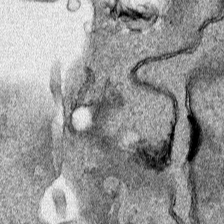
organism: Human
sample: Mitochondria in HCT116 cells